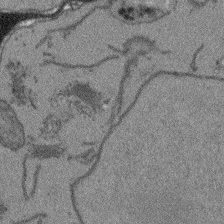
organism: Arabidopsis thaliana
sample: Root tip